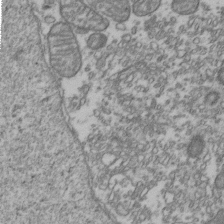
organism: Human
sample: Activated Jurkat CD4+ T cells